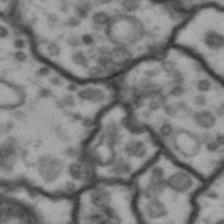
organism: Drosophila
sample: Brain